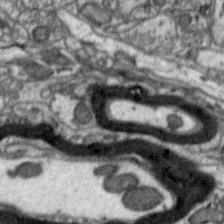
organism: Zebra finch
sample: Brain